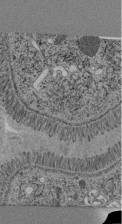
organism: C. elegans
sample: C. elegans pharynx